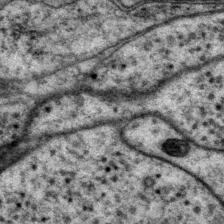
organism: P. pacificus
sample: Pharynx